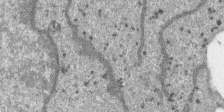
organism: Human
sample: Lung epithelial cells infected with SARS-CoV-2